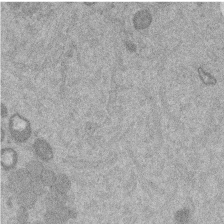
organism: Mouse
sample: Dividing mouse embryo 1 cell stage